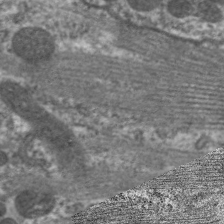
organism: C. elegans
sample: Pharynx